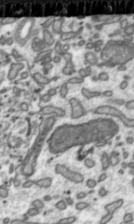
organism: Toxoplasma gondii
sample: Parasites in a vacuole inside a host cell